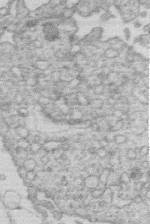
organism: Human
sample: Macrophage cells